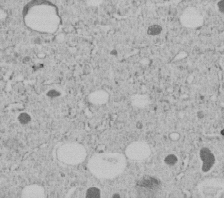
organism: C. elegans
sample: C. elegans embryo early stage